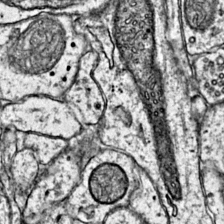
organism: Mouse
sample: Primary visual cortex